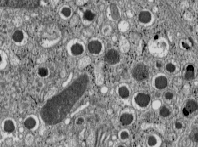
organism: C57BL Mouse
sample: Pancreatic islet